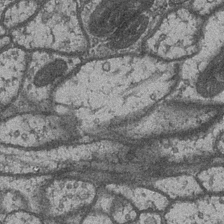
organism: Drosophila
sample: Optic medulla